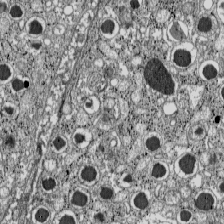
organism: C57BL Mouse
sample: Pancreatic islet